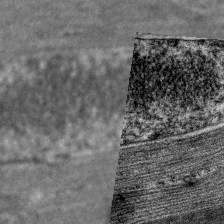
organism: C. elegans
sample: Pharynx